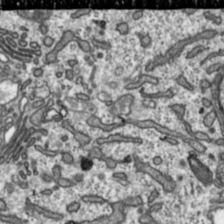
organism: Toxoplasma gondii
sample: Parasites in a vacuole inside a host cell